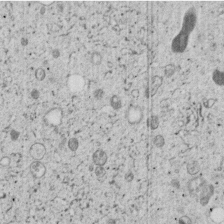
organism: C. elegans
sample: C. elegans embryo early stage